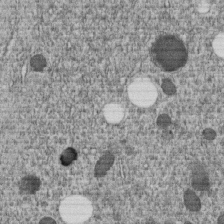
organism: C. elegans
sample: C. elegans embryo early stage